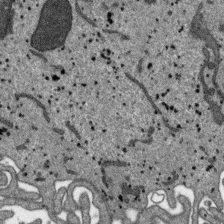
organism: Human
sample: Lung epithelial cells, uninfected (mock) control